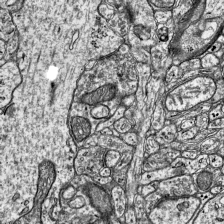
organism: Mouse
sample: Visual Cortex